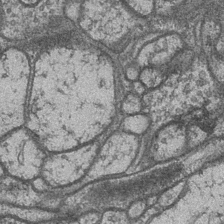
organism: Drosophila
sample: Optic medulla